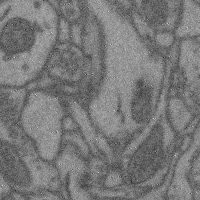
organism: Mouse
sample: Cerebral cortex